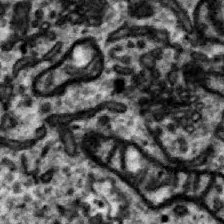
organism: Human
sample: HeLa cells